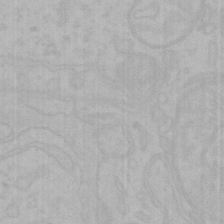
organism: Mouse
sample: Choroid plexus